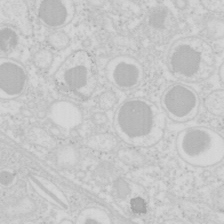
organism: Mouse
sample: Pancreas